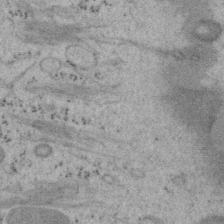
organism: Human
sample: HeLa cells